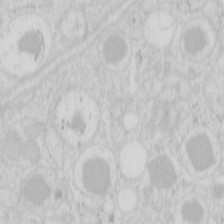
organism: Mouse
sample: Pancreas